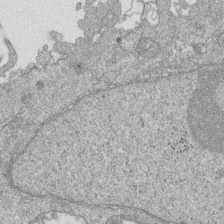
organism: Human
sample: HeLa cell HIV synapse